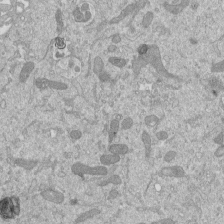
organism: Mouse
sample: ED-1 cell nuclei; centrioles